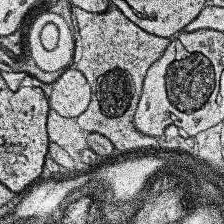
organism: Human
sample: Temporal Lobe